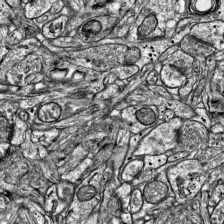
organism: Mouse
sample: Visual Cortex